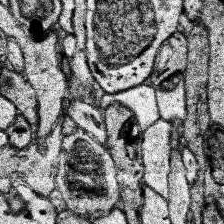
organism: Human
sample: Temporal Lobe